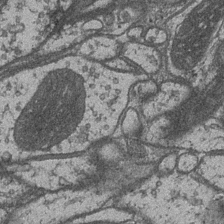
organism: Drosophila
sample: Optic medulla